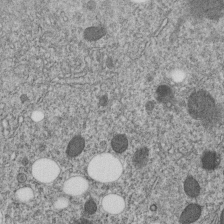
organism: C. elegans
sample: C. elegans embryo early stage